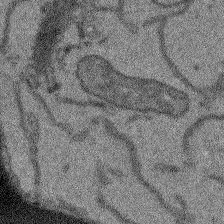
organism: Arabidopsis thaliana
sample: Root tip